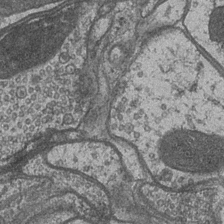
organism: Drosophila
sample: Optic medulla